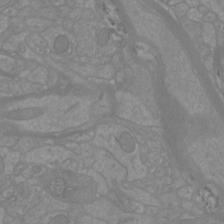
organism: Mouse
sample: Cortical neurons